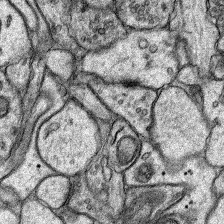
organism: Rat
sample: Hippocampus